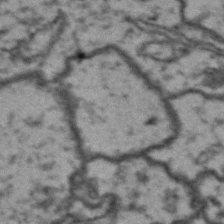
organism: Drosophila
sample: Brain